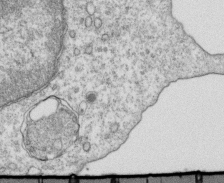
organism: Mouse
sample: Activated OT-1 CD8+ T cells